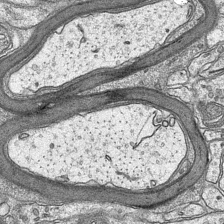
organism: Mouse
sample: CA1 Hippocampus